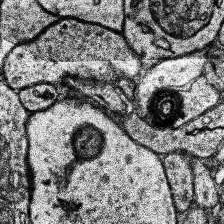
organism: Human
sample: Temporal Lobe